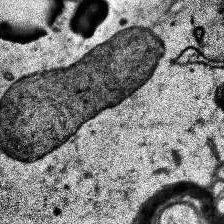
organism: Human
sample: Temporal Lobe